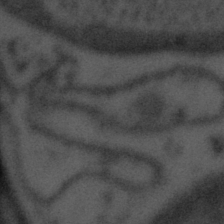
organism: Tuwongella immobilis